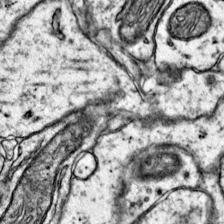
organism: Mouse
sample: Primary visual cortex